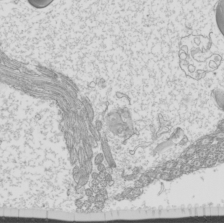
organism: Mouse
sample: Cilia; mouse epididymis